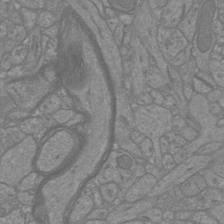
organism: Mouse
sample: Cortical neurons